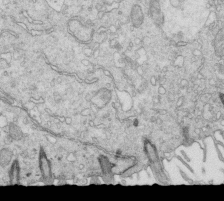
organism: Mouse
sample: Multiciliated cells